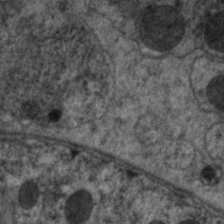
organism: C. elegans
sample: Pharynx